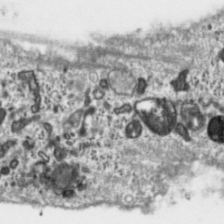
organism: Toxoplasma gondii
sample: Parasites in a vacuole inside a host cell